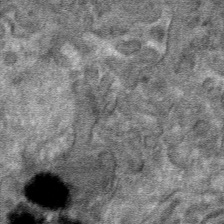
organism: Mouse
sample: Mouse hepatocytes